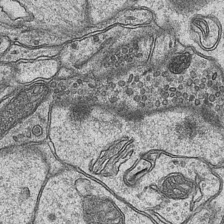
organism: Mouse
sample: CA1 Hippocampus